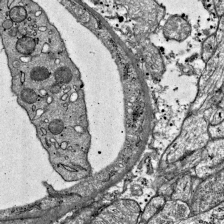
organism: Mouse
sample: Visual Cortex